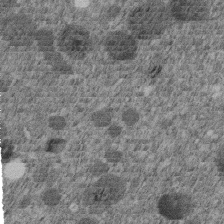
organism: C. elegans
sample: C. elegans embryo early stage